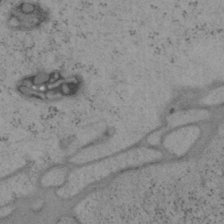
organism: Mouse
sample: OT-I killer T cells with ID8 ovarian cancer cells